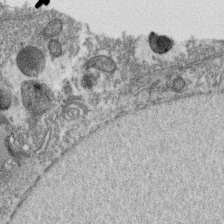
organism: C. elegans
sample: C. elegans oocyte; sperm cells